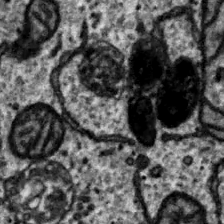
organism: Human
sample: HeLa cells